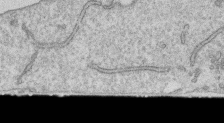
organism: Human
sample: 1205lu cells